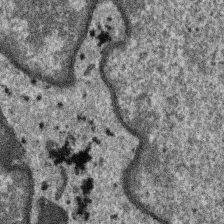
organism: Human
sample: Lung epithelial cells infected with SARS-CoV-2